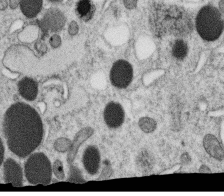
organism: C. elegans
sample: C. elegans oocyte; sperm cells